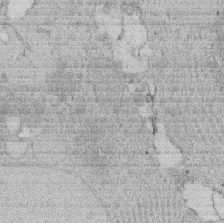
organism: Rat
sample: Salivary granule